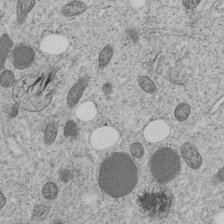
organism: C. elegans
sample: C. elegans embryo early stage